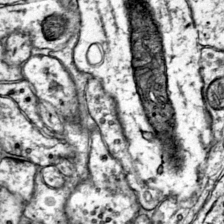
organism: Mouse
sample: Primary visual cortex